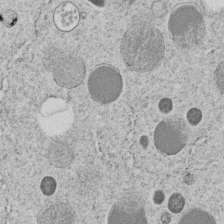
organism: C. elegans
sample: C. elegans embryo early stage